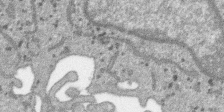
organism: Human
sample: Lung epithelial cells infected with SARS-CoV-2